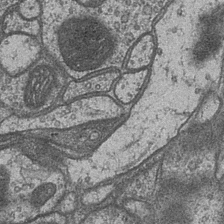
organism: Drosophila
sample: Optic medulla